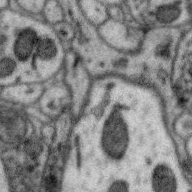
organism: Zebra finch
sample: Brain